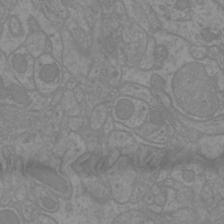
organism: Mouse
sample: Cortical neurons